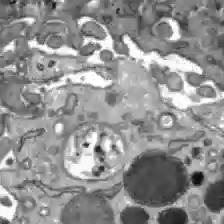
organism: C57BL Mouse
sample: Liver